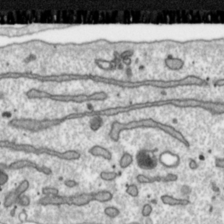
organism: Toxoplasma gondii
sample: Parasites in a vacuole inside a host cell